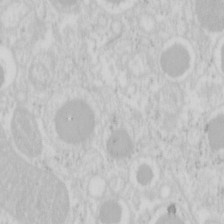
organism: Mouse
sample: Pancreas